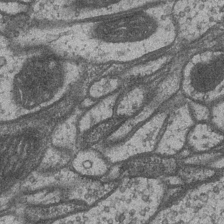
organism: Drosophila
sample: Optic medulla